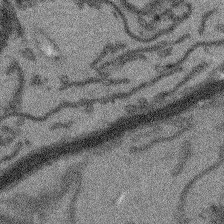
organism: Arabidopsis thaliana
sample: Root tip